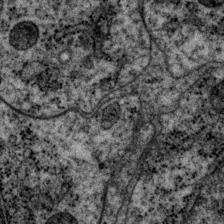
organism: P. pacificus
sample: Pharynx